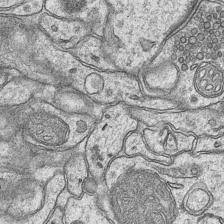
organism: Mouse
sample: CA1 Hippocampus